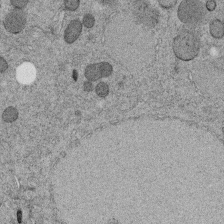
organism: C. elegans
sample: C. elegans embryo early stage